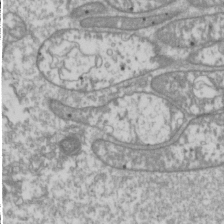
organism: Drosophila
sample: Cell division; meiosis; drosophila spermatocytes